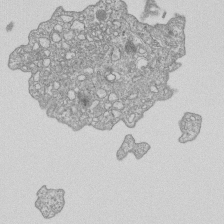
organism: Human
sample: MDA-MB-231 cells